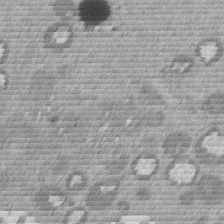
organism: Mouse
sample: Dividing mouse embryo 1 cell stage